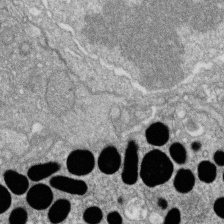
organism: Zebrafish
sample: Cilia; retinal pigment epithelium